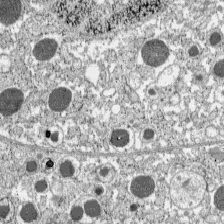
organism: C57BL Mouse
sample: Pancreatic islet